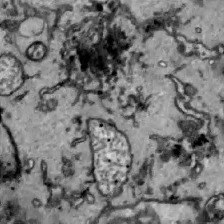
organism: Zebrafish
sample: Actinotrichia fibers